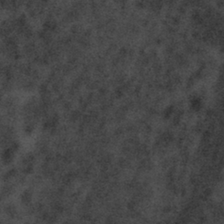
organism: Tuwongella immobilis